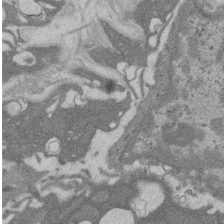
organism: Rat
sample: Salivary granule